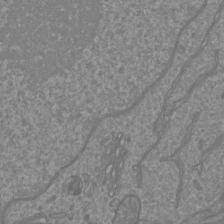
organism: Mouse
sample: Cortical neurons